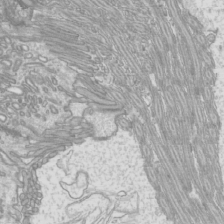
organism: Mouse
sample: Cilia; mouse epididymis